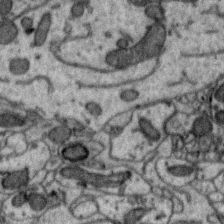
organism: Zebra finch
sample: Brain